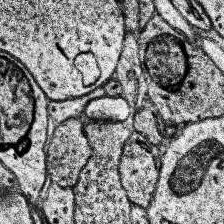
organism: Human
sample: Temporal Lobe